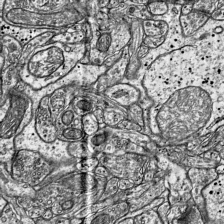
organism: Mouse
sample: Visual Cortex